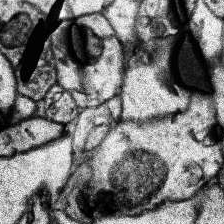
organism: Human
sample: Temporal Lobe